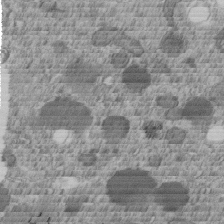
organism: C. elegans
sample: C. elegans embryo early stage